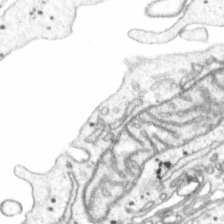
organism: Human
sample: HeLa cells